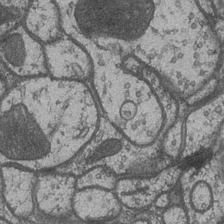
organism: Drosophila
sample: Optic medulla